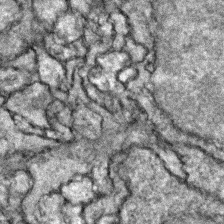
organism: Zebrafish